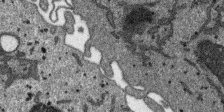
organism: Human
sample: Lung epithelial cells infected with SARS-CoV-2